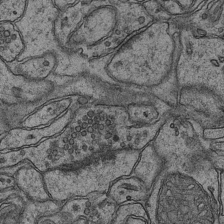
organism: Mouse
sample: CA1 Hippocampus